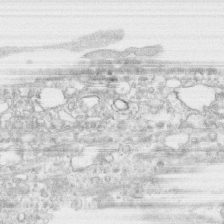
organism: Human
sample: CRL-1474